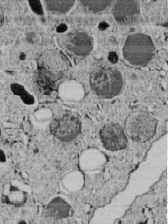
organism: C. elegans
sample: C. elegans embryo early stage